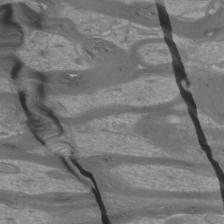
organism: Mouse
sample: Cortical neurons